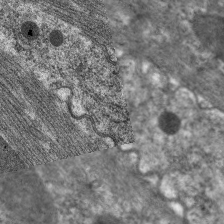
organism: C. elegans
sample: Pharynx